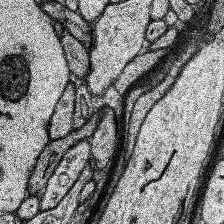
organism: Human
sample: Temporal Lobe